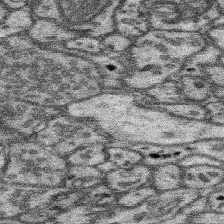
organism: Mouse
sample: Somatosensory cortex neuropil